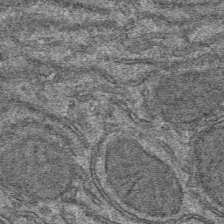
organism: Mouse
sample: Mouse hepatocytes